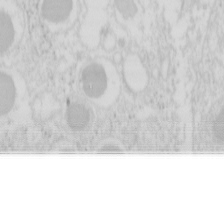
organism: Mouse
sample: Pancreas